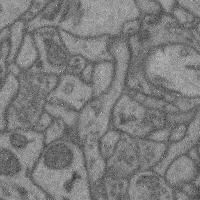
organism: Mouse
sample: Cerebral cortex